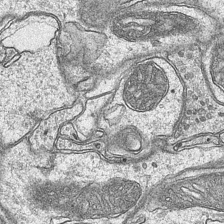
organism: Mouse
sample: CA1 Hippocampus